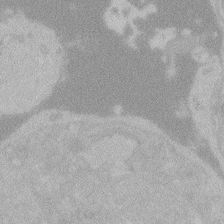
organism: Zebrafish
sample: Macrophage infected with Toxoplasma gondii